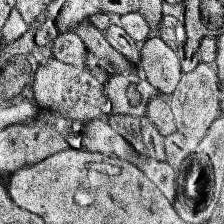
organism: Human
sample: Temporal Lobe